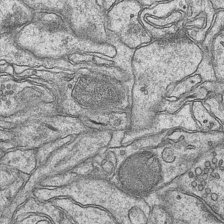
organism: Mouse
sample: CA1 Hippocampus